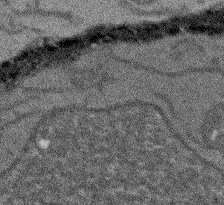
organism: Arabidopsis thaliana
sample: Root tip